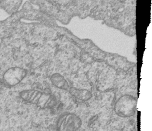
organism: Human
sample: MDA-MB-231 cells